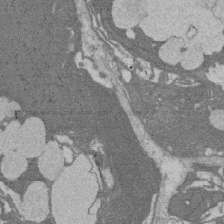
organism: Rat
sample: Salivary granule